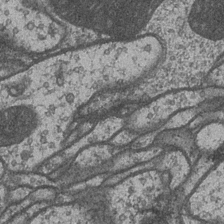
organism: Drosophila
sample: Optic medulla